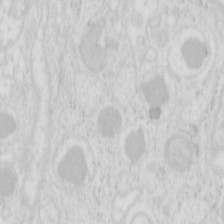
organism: Mouse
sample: Pancreas